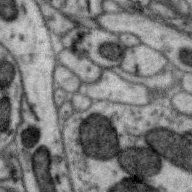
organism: Zebra finch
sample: Brain